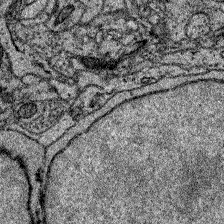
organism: Zebrafish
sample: Larval olfactory bulb